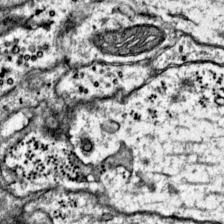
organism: Mouse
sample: Primary visual cortex